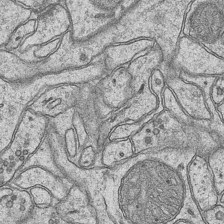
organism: Mouse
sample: CA1 Hippocampus